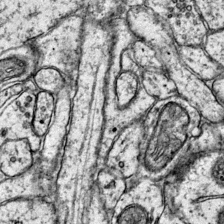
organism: Mouse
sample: Primary visual cortex